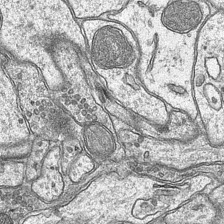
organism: Mouse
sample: CA1 Hippocampus